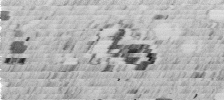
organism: C. elegans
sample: C. elegans embryo early stage